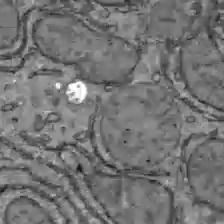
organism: C57BL Mouse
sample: Liver